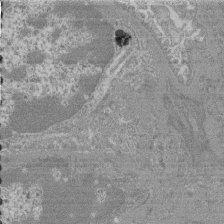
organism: Mouse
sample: Glomerulus